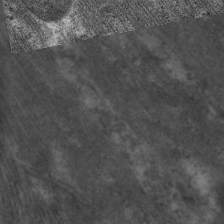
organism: C. elegans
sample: Pharynx